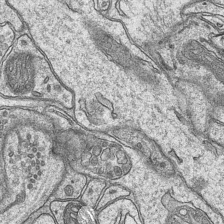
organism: Mouse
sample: CA1 Hippocampus